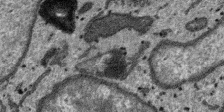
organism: Human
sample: Lung epithelial cells, uninfected (mock) control